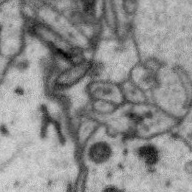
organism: Zebra finch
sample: Brain